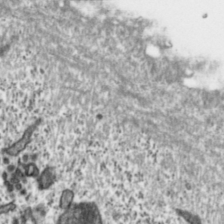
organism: Toxoplasma gondii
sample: Parasites in a vacuole inside a host cell